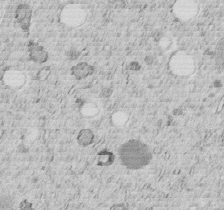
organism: C. elegans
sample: C. elegans embryo early stage